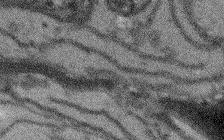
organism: Arabidopsis thaliana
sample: Root tip